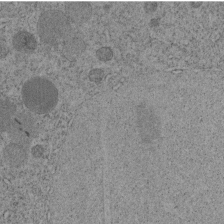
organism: C. elegans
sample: C. elegans embryo early stage